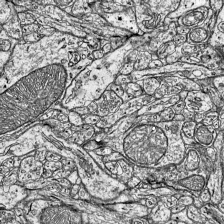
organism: Mouse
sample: Visual Cortex